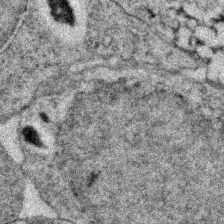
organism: Zebrafish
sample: Zebrafish embryo